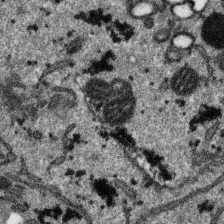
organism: Human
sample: Lung epithelial cells infected with SARS-CoV-2